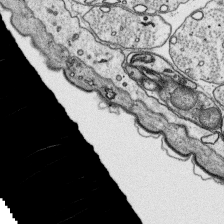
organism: Platynereis dumerilii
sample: Parapodia